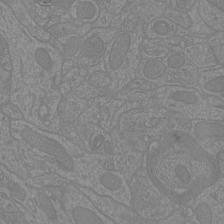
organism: Mouse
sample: Cortical neurons